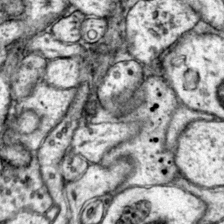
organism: Mouse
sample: Primary visual cortex